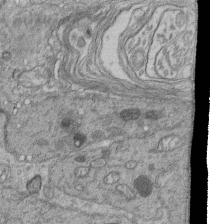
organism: Human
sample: Retinal organoid Rod and Cone cells